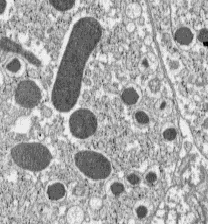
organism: C57BL Mouse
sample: Pancreatic islet